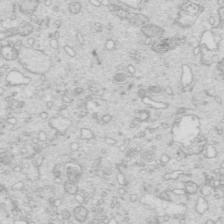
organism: Mouse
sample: Multiciliated cells